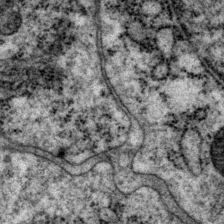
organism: P. pacificus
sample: Pharynx